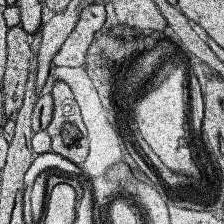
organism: Human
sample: Temporal Lobe